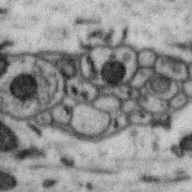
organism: Zebra finch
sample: Brain